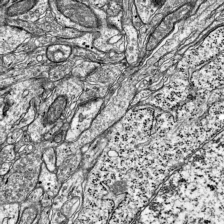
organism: Mouse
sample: Visual Cortex